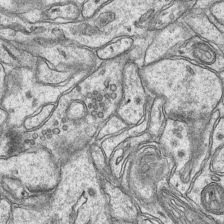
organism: Mouse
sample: CA1 Hippocampus